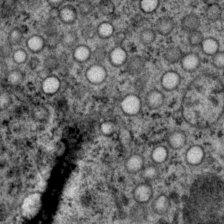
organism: P. pacificus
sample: Pharynx